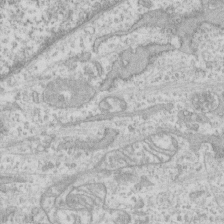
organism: Human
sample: CRL-1474